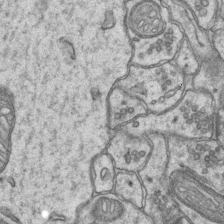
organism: Mouse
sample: CA1 Hippocampus